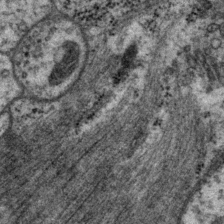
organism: P. pacificus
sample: Pharynx